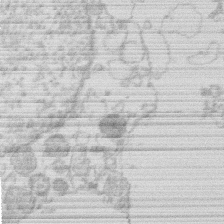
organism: Human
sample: Macrophage cells